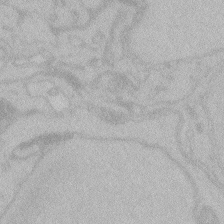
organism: Zebrafish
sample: Macrophage infected with Toxoplasma gondii